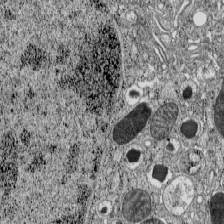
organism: C57BL Mouse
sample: Pancreatic islet